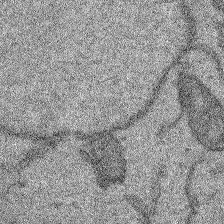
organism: Human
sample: HeLa cells